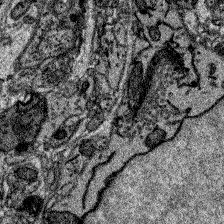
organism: Zebrafish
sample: Larval olfactory bulb